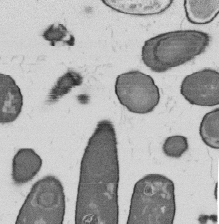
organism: B. subtilis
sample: Bacterial spore